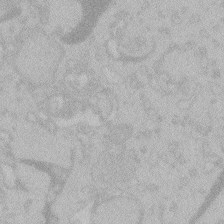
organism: Zebrafish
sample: Macrophage infected with Toxoplasma gondii